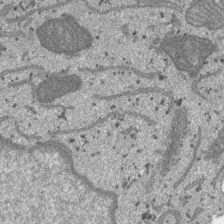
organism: Human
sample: Lung epithelial cells infected with SARS-CoV-2